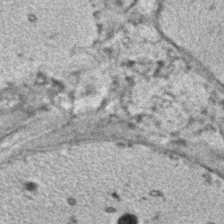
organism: C. elegans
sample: C. elegans embryo